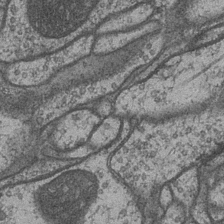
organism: Drosophila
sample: Optic medulla